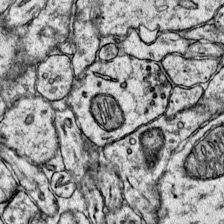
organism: Mouse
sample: Primary visual cortex